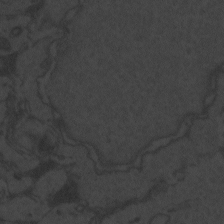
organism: Zebrafish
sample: Macrophage infected with Toxoplasma gondii